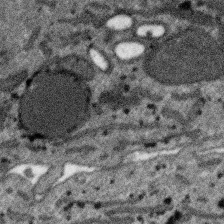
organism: Human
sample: Lung epithelial cells infected with SARS-CoV-2